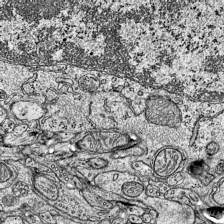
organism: Mouse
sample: Visual Cortex